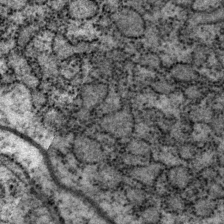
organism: P. pacificus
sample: Pharynx